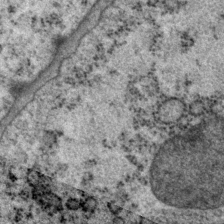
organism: P. pacificus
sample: Pharynx